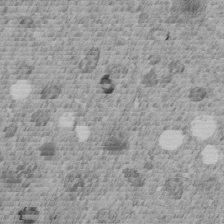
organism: C. elegans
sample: C. elegans embryo early stage